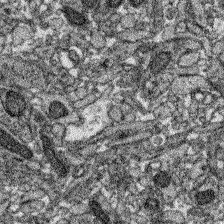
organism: Zebrafish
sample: Larval olfactory bulb